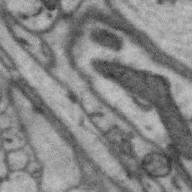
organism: Zebra finch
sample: Brain